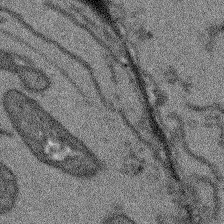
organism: Arabidopsis thaliana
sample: Root tip